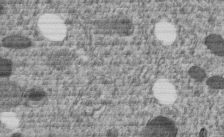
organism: C. elegans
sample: C. elegans embryo early stage